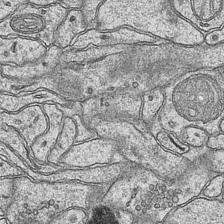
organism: Mouse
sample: CA1 Hippocampus